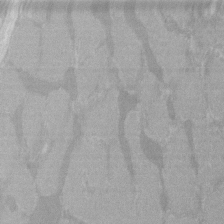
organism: C57BL Mouse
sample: Tibialis anterior muscle cell